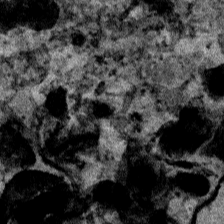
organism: Human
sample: Mitochondria in HCT116 cells